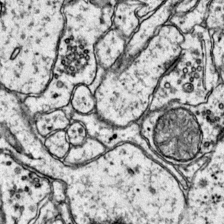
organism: Mouse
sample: Primary visual cortex